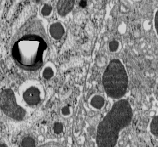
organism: C57BL Mouse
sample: Pancreatic islet